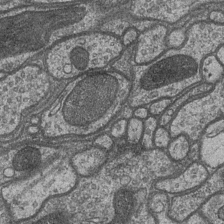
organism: Drosophila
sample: Optic medulla